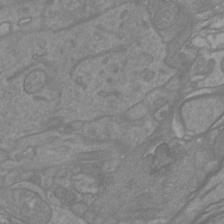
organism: Mouse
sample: Cortical neurons